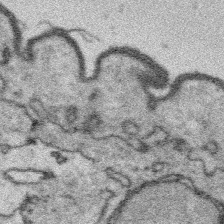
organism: Platynereis dumerilii